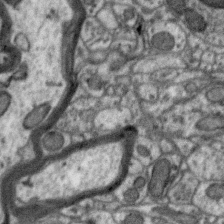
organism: Zebra finch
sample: Brain